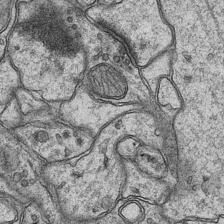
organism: Mouse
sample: CA1 Hippocampus